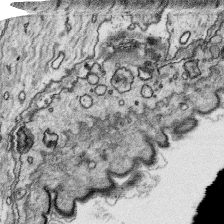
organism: Platynereis dumerilii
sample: Parapodia